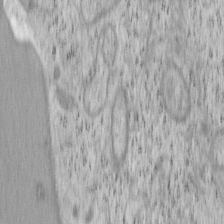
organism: Human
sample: HeLa cells